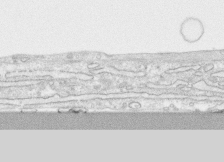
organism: Human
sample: CRL-1474